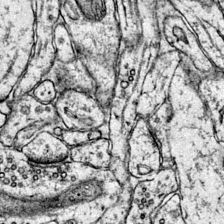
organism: Mouse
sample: Primary visual cortex